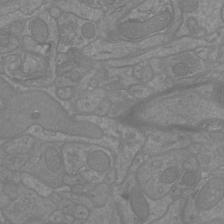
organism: Mouse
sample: Cortical neurons